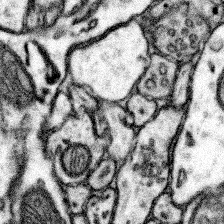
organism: Mouse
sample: Somatosensory cortex neuropil